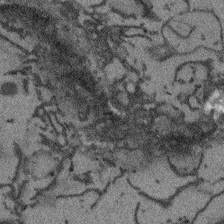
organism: Arabidopsis thaliana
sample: Root tip